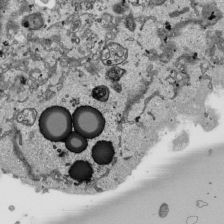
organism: Human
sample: Mitochondria in HCT116 cells